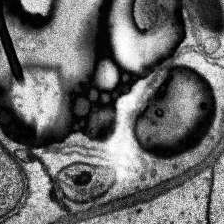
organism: Human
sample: Temporal Lobe